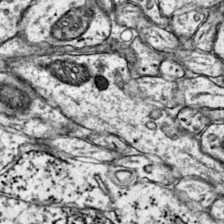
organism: Mouse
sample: Primary visual cortex